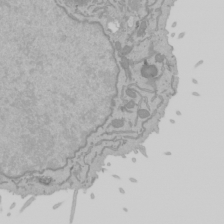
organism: Mouse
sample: Cancer cell death in ED-1 cells